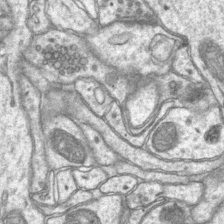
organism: Mouse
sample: CA1 Hippocampus